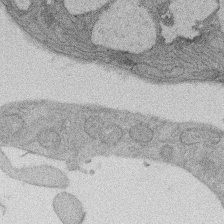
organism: Rat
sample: Salivary granule